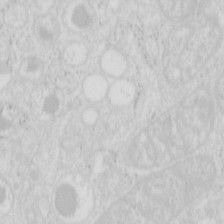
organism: Mouse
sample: Pancreas